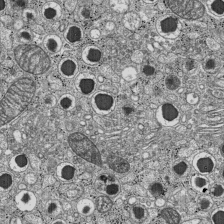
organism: C57BL Mouse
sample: Pancreatic islet